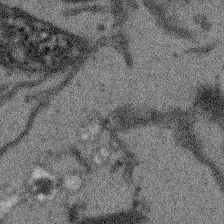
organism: Arabidopsis thaliana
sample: Root tip